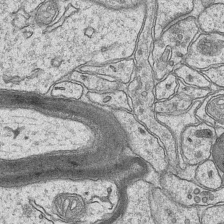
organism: Mouse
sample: CA1 Hippocampus